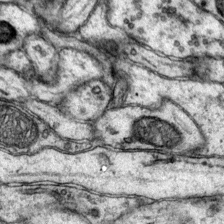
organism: Mouse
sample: Primary visual cortex